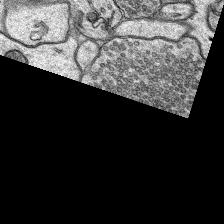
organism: Rat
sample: Hippocampus